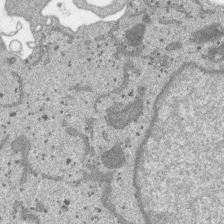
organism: Human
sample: Lung epithelial cells infected with SARS-CoV-2